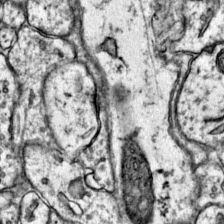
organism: Mouse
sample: Primary visual cortex